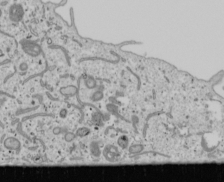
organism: Human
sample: Mitochondria in U2OS cells